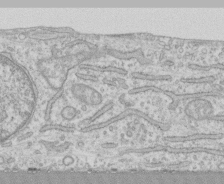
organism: Human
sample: CRL-1474